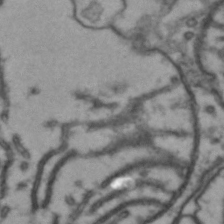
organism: Drosophila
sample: Brain